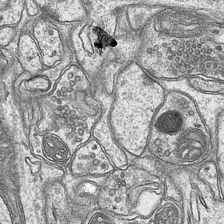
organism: Mouse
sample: CA1 Hippocampus